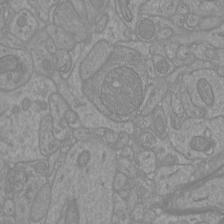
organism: Mouse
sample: Cortical neurons